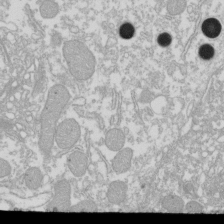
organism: Xenopus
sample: Cilia; centrioles in frog embryo cells